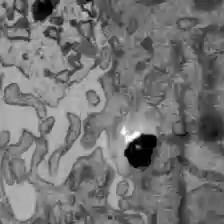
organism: C57BL Mouse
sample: Liver